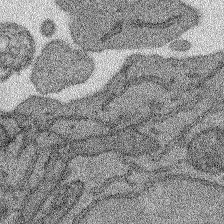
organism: Human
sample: HeLa cells